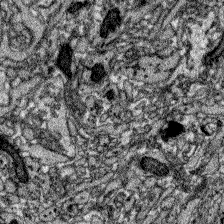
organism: Zebrafish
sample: Larval olfactory bulb